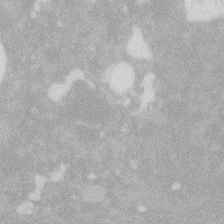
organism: Zebrafish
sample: Macrophage